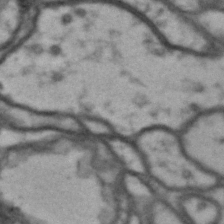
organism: Drosophila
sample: Brain